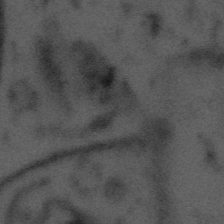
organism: Tuwongella immobilis